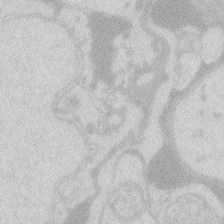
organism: Zebrafish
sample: Macrophage